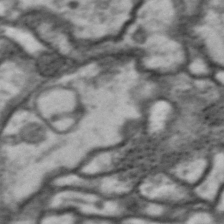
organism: Drosophila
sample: Brain